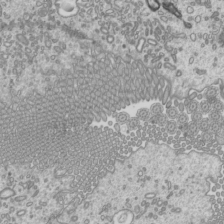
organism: Mouse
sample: Cilia; mouse epididymis